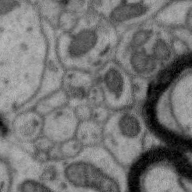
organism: Zebra finch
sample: Brain